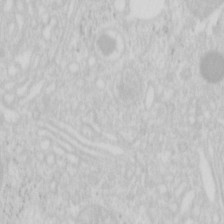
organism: Mouse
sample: Pancreas